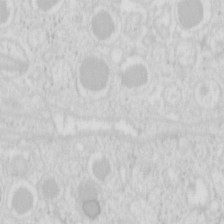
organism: Mouse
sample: Pancreas